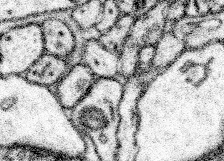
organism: Mouse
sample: Somatosensory cortex neuropil